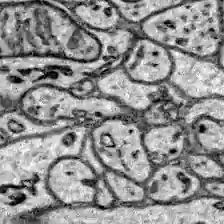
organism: Zebrafish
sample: Brain